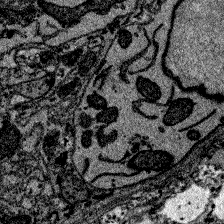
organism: Zebrafish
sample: Larval olfactory bulb